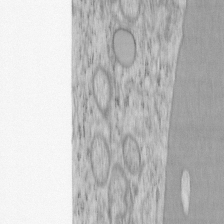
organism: Human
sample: HeLa cells